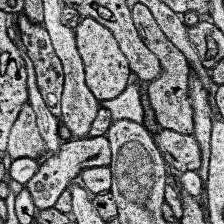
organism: Human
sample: Temporal Lobe